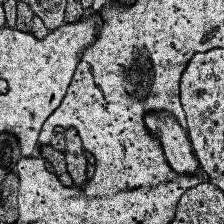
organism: Human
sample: Temporal Lobe